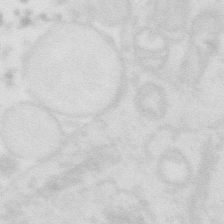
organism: Human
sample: HeLa cells